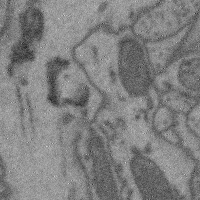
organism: Mouse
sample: Cerebral cortex